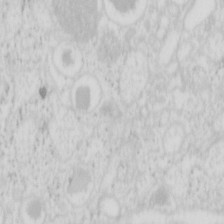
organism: Mouse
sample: Pancreas